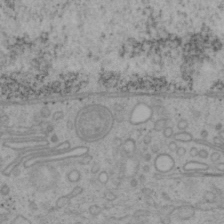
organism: Human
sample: HeLa cells